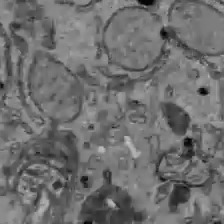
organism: C57BL Mouse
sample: Liver